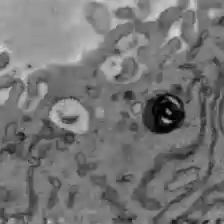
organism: C57BL Mouse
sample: Liver